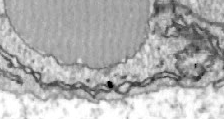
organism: Zebrafish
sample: Actinotrichia fibers